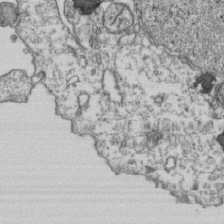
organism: Human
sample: Activated Jurkat CD4+ T cells